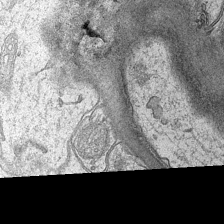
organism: Mouse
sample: CA1 Hippocampus